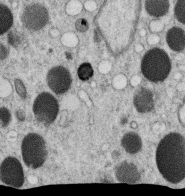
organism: C. elegans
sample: C. elegans oocyte; sperm cells